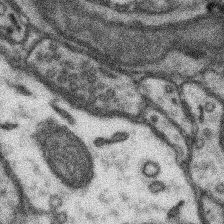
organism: Mouse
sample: Somatosensory cortex neuropil